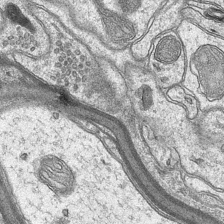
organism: Mouse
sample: CA1 Hippocampus